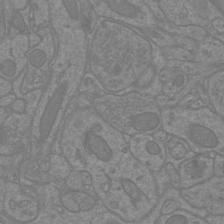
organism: Mouse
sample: Cortical neurons